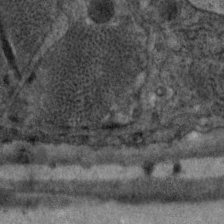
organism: C. elegans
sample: Pharynx